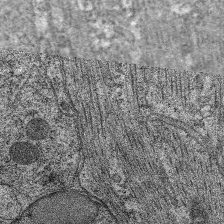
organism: C. elegans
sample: Pharynx